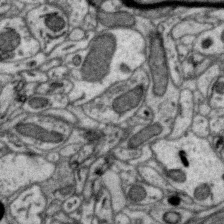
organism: Zebra finch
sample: Brain